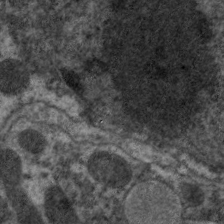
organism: C. elegans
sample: Pharynx